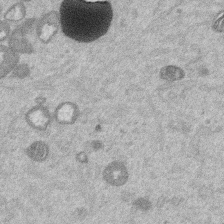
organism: Mouse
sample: Dividing mouse embryo 1 cell stage